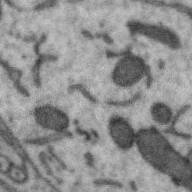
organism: Zebra finch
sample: Brain